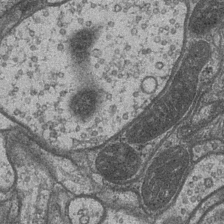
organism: Drosophila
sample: Optic medulla